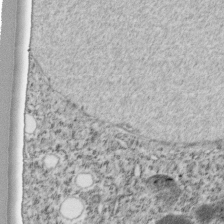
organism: C. elegans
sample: C. elegans embryo early stage